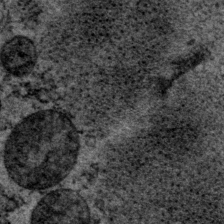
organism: P. pacificus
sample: Pharynx